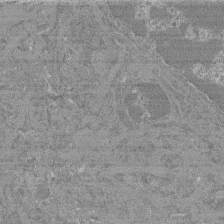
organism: Mouse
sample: Glomerulus